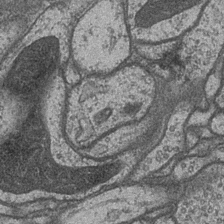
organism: Drosophila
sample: Optic medulla